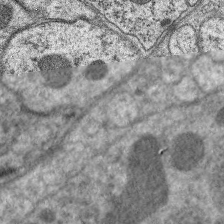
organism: C. elegans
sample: Pharynx